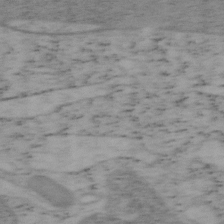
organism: Mouse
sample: OT-I killer T cells with ID8 ovarian cancer cells